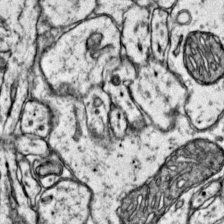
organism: Mouse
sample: Primary visual cortex